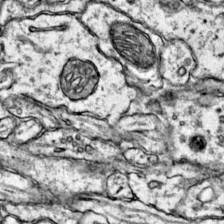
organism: Mouse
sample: Primary visual cortex